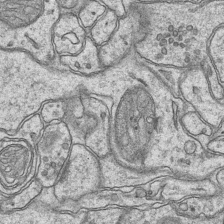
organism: Mouse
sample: CA1 Hippocampus